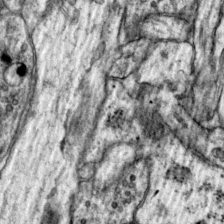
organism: Mouse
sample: Primary visual cortex